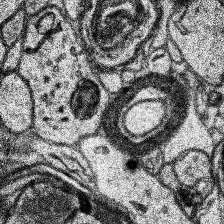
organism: Human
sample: Temporal Lobe